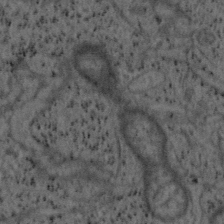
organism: Human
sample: HeLa cells